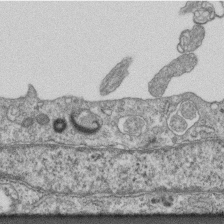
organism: Mouse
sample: Centriole in ependymal cells